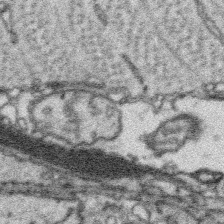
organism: Platynereis dumerilii